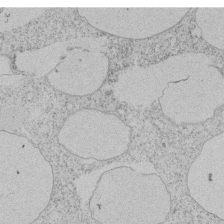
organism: Tetrahymena